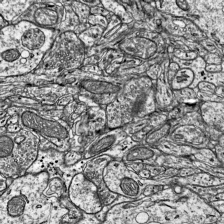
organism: Mouse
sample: Visual Cortex